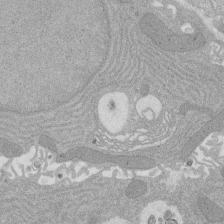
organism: Rat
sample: Salivary granule